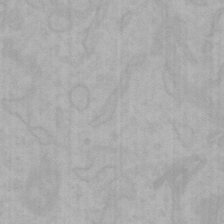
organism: Mouse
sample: Choroid plexus